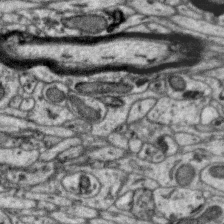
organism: Zebra finch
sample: Brain